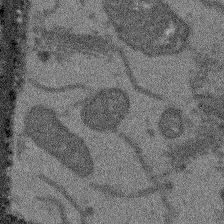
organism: Arabidopsis thaliana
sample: Root tip